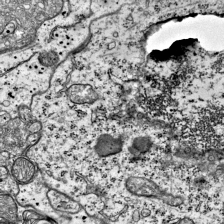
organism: Mouse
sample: Visual Cortex